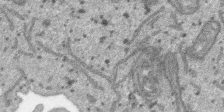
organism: Human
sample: Lung epithelial cells infected with SARS-CoV-2